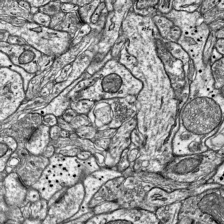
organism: Mouse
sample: Visual Cortex